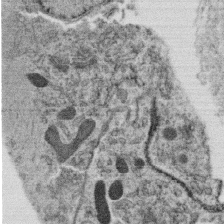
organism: C. elegans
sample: C. elegans oocyte; sperm cells